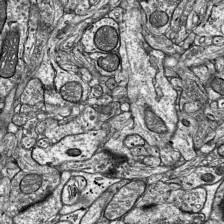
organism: Mouse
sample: Visual Cortex